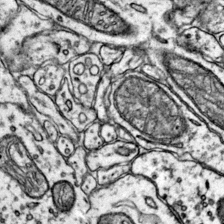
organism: Mouse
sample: Primary visual cortex